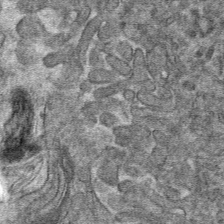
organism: Mouse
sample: Mouse hepatocytes